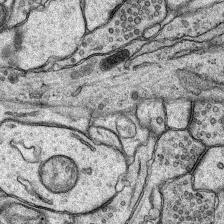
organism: Rat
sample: Hippocampus